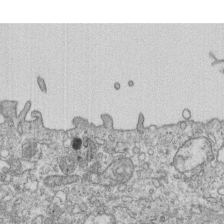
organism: Human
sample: HeLa cell HIV synapse